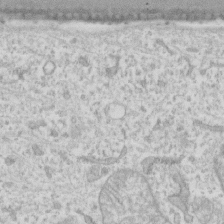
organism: Human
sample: Fibroblast cells